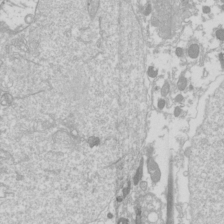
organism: Drosophila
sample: Cell division; meiosis; drosophila spermatocytes